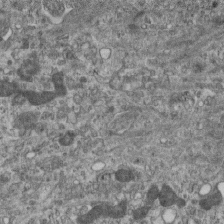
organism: Mouse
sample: Centriole in ependymal cells